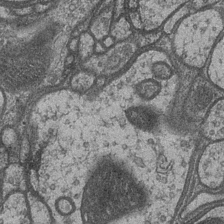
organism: Drosophila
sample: Optic medulla